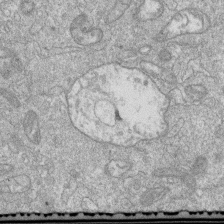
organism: Human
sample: HeLa cell HIV synapse